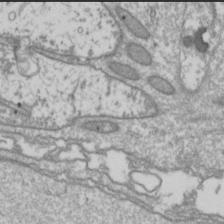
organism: Drosophila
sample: Cell division; meiosis; drosophila spermatocytes